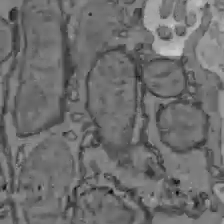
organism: C57BL Mouse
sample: Liver